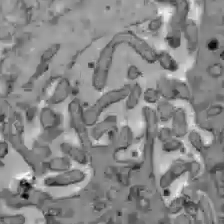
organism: C57BL Mouse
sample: Liver